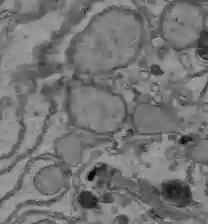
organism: C57BL Mouse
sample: Liver